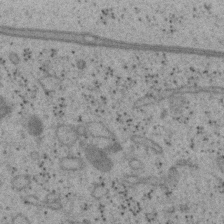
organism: Human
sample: HeLa cells